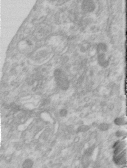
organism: Human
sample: Centriole in RPE cells